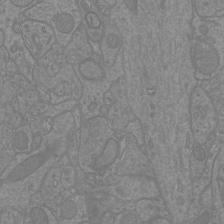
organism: Mouse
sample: Cortical neurons